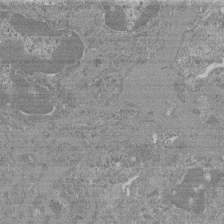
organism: Mouse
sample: Glomerulus